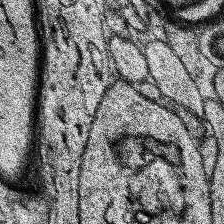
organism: Human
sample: Temporal Lobe